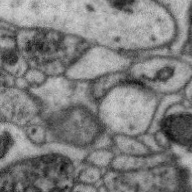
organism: Zebra finch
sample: Brain